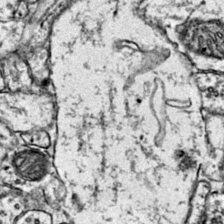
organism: Mouse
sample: Primary visual cortex